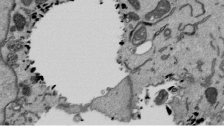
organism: Mouse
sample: ED-1 cell nuclei; centrioles